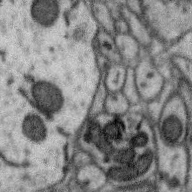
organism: Zebra finch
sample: Brain